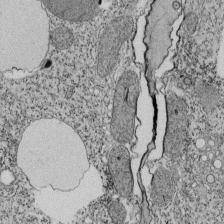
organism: Tetrahymena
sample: Cilia in tetrahymena